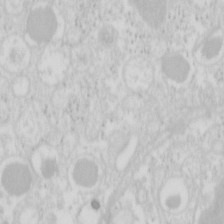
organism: Mouse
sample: Pancreas